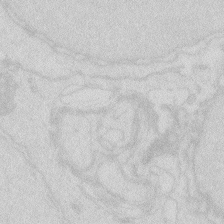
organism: Zebrafish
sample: Macrophage